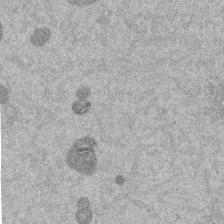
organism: Mouse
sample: Dividing mouse embryo 1 cell stage